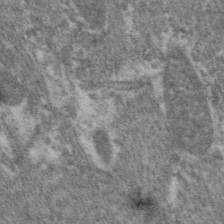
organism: C. elegans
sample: Pharynx